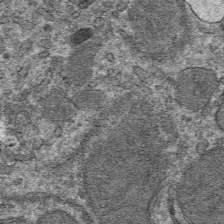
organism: Mouse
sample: Mouse hepatocytes